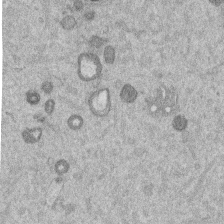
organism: Mouse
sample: Dividing mouse embryo 1 cell stage